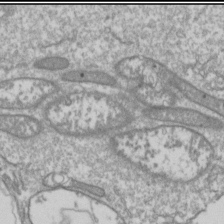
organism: Drosophila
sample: Cell division; meiosis; drosophila spermatocytes